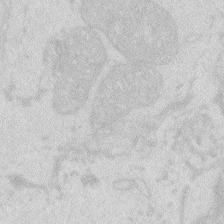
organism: Zebrafish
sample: Macrophage